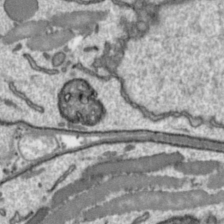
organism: Toxoplasma gondii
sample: Parasites in a vacuole inside a host cell